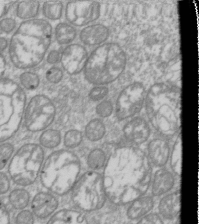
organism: Drosophila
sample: Cell division; meiosis; drosophila spermatocytes